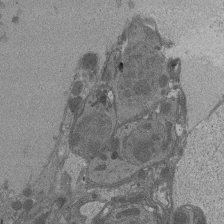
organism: Drosophila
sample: Antenna